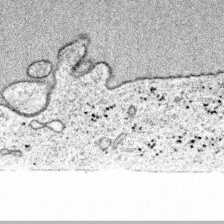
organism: Human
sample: HeLa cells